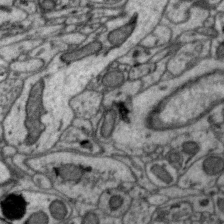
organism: Zebra finch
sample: Brain